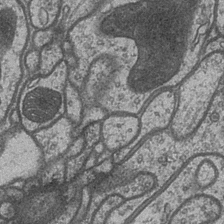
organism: Drosophila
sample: Optic medulla